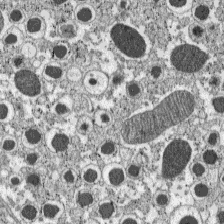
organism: C57BL Mouse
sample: Pancreatic islet